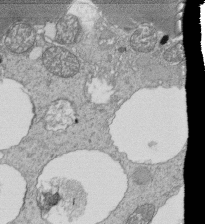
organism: Tetrahymena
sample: Cilia in tetrahymena